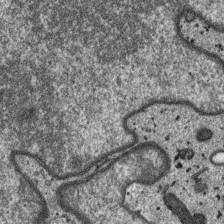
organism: Human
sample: Lung epithelial cells infected with SARS-CoV-2